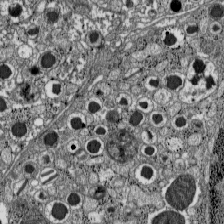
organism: C57BL Mouse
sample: Pancreatic islet